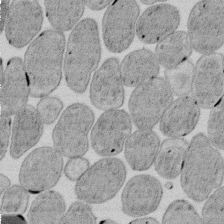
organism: E. coli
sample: Bacterial nucleoid